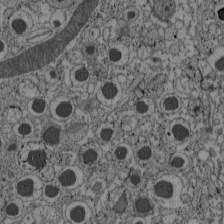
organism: C57BL Mouse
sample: Pancreatic islet